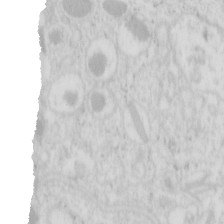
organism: Mouse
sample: Pancreas